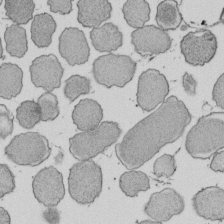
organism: E. coli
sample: Bacterial nucleoid